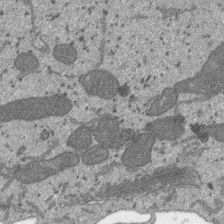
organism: Human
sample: Lung epithelial cells infected with SARS-CoV-2